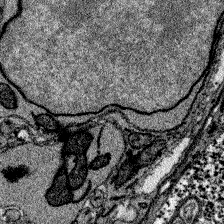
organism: Zebrafish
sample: Larval olfactory bulb